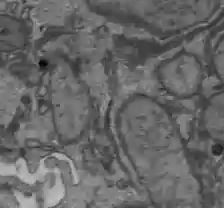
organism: C57BL Mouse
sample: Liver